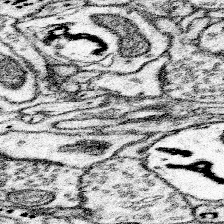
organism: Mouse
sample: Somatosensory cortex neuropil